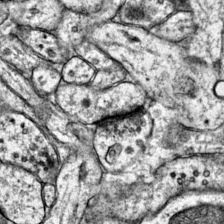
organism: Mouse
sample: Primary visual cortex